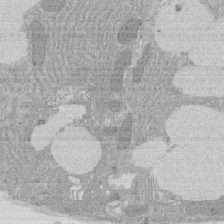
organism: Rat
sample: Salivary granule